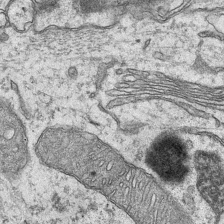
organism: Mouse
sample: CA1 Hippocampus